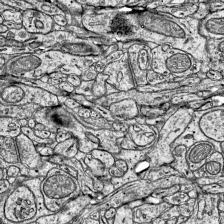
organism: Mouse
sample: Visual Cortex